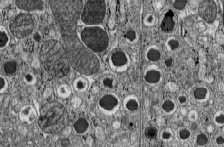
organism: C57BL Mouse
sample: Pancreatic islet